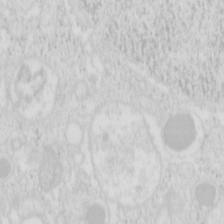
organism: Mouse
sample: Pancreas